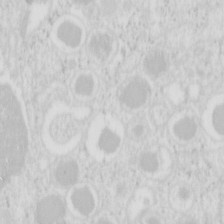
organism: Mouse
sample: Pancreas